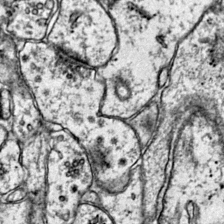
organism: Mouse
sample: Primary visual cortex